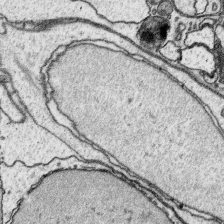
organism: Platynereis dumerilii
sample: Parapodia